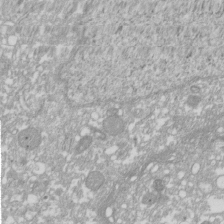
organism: Xenopus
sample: Cilia; centrioles in frog embryo cells